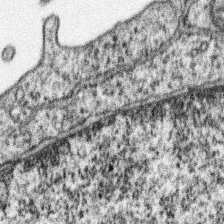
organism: Human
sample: HeLa cells